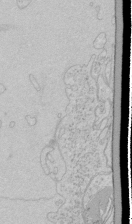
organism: Human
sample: Mitochondria in HCT116 cells